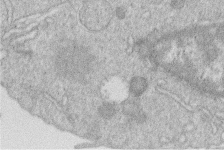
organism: Human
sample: Macrophage cells